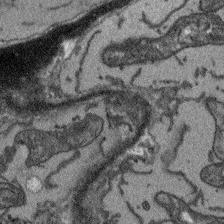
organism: Arabidopsis thaliana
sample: Root tip